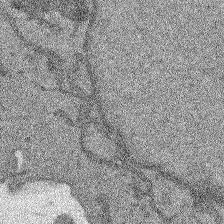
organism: Human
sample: HeLa cells